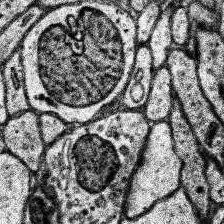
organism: Human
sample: Temporal Lobe